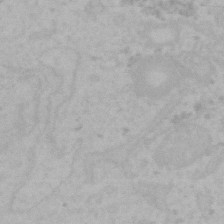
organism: Mouse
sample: Choroid plexus